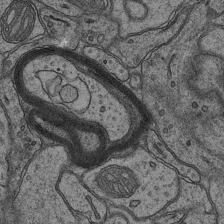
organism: Mouse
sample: CA1 Hippocampus